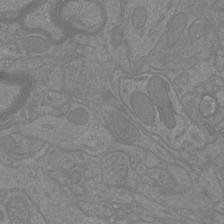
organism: Mouse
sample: Cortical neurons